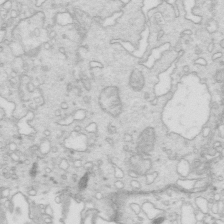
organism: Mouse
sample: Multiciliated cells